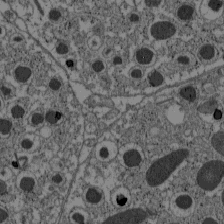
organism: C57BL Mouse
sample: Pancreatic islet